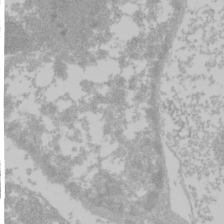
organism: Mouse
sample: Cancer cell death in ED-1 cells